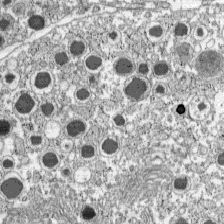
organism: C57BL Mouse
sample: Pancreatic islet